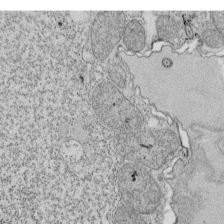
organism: Tetrahymena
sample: Cilia in tetrahymena